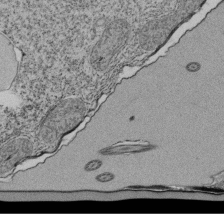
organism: Tetrahymena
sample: Cilia in tetrahymena